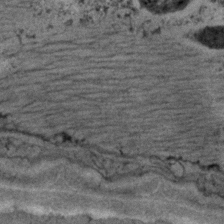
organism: C. elegans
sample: C. elegans embryo